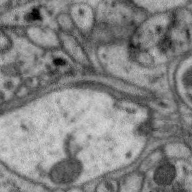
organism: Zebra finch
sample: Brain